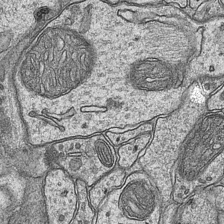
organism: Mouse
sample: CA1 Hippocampus